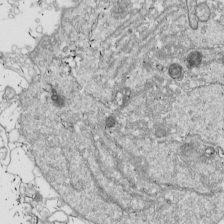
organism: Drosophila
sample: Cell division; meiosis; drosophila spermatocytes